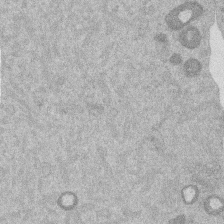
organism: Mouse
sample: Dividing mouse embryo 1 cell stage